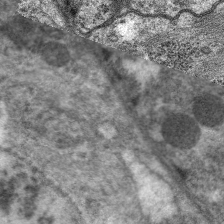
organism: C. elegans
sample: Pharynx